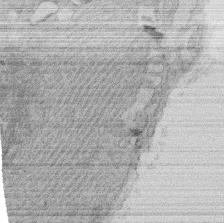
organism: Rat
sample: Salivary granule